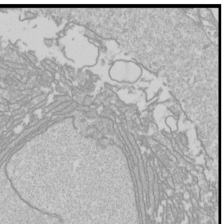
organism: Drosophila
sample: Cell division; meiosis; drosophila spermatocytes